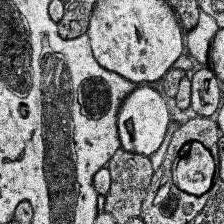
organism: Human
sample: Temporal Lobe